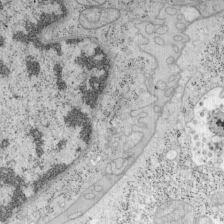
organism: Mouse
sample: OT-I killer T cells with ID8 ovarian cancer cells